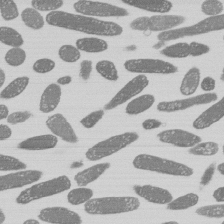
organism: E. coli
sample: Bacterial nucleoid